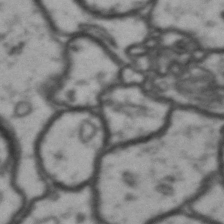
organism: Drosophila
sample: Brain